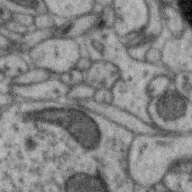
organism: Zebra finch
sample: Brain